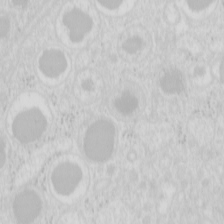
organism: Mouse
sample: Pancreas